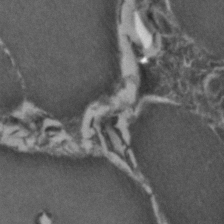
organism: Zebrafish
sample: Zebrafish embryo